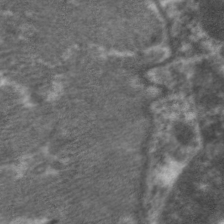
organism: C. elegans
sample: Pharynx